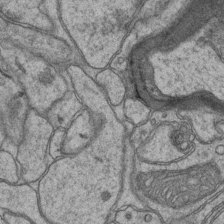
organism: Mouse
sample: CA1 Hippocampus